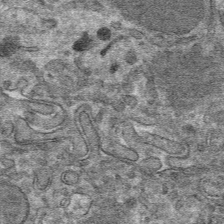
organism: Mouse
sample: Mouse hepatocytes